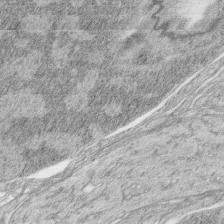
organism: Zebrafish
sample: synaptic ribbons in rod cells and cone cells